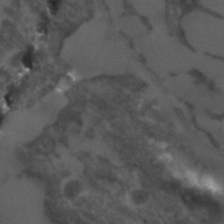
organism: C. elegans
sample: C. elegans embryo